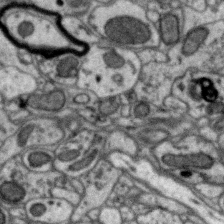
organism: Zebra finch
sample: Brain